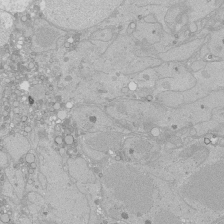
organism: Human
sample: Caco-2 cells